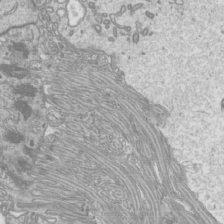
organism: Mouse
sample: Cilia; mouse epididymis